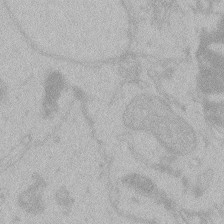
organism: Zebrafish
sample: Macrophage infected with Toxoplasma gondii